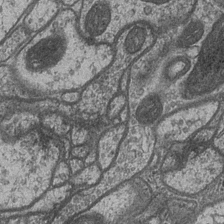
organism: Drosophila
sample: Optic medulla